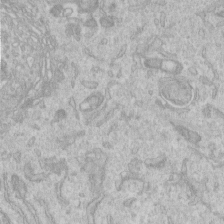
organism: Human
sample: Centriole in RPE cells